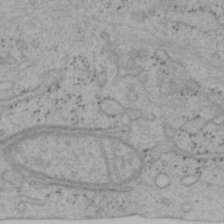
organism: Human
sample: HeLa cells